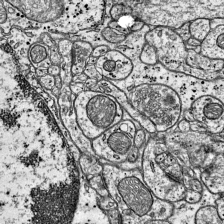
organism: Mouse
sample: Visual Cortex